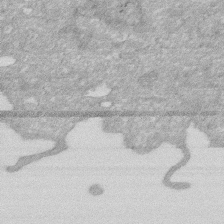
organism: Human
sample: HIV infected U937 cells